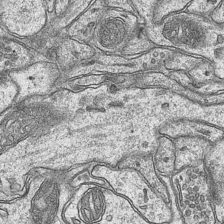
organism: Mouse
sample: CA1 Hippocampus